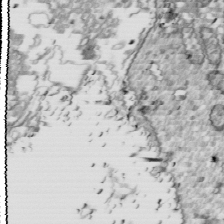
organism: Drosophila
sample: Cell division; meiosis; drosophila spermatocytes